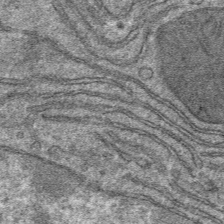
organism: Mouse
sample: Mouse hepatocytes